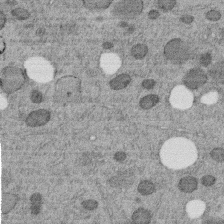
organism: C. elegans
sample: C. elegans embryo early stage